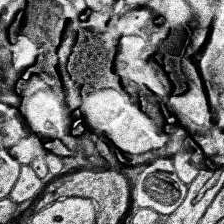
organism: Human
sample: Temporal Lobe